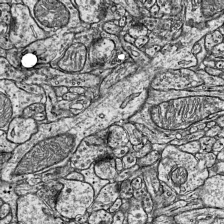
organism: Mouse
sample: Visual Cortex